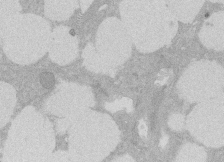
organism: Rat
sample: Salivary granule